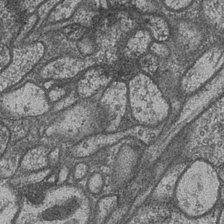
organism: Drosophila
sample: Optic medulla